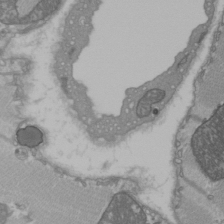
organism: C57BL Mouse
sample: Heart